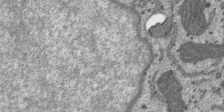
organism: Human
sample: Lung epithelial cells infected with SARS-CoV-2